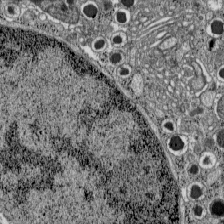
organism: C57BL Mouse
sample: Pancreatic islet